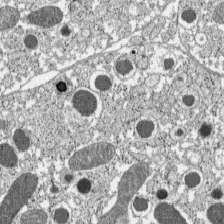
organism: C57BL Mouse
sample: Pancreatic islet